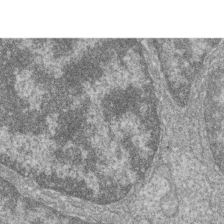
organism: Zebrafish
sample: Cilia; retinal pigment epithelium